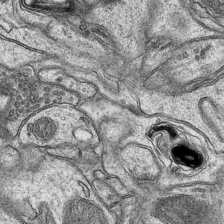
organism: Mouse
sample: CA1 Hippocampus